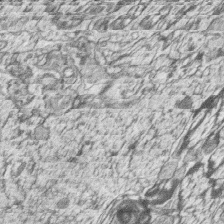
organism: Zebrafish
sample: synaptic ribbons in rod cells and cone cells